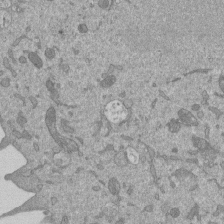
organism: Mouse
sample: ED-1 cell nuclei; centrioles